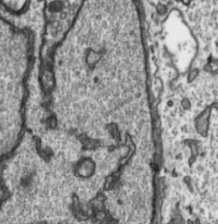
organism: Toxoplasma gondii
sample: Parasites in a vacuole inside a host cell